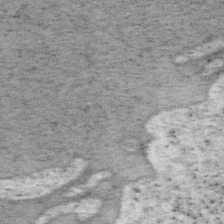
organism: Mouse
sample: OT-I killer T cells with ID8 ovarian cancer cells